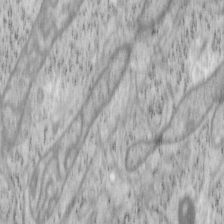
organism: Human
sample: HeLa cells